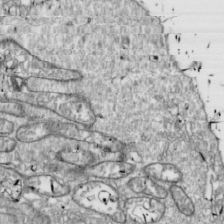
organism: Drosophila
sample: Cell division; meiosis; drosophila spermatocytes